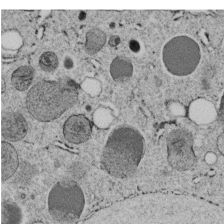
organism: C. elegans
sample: C. elegans embryo early stage